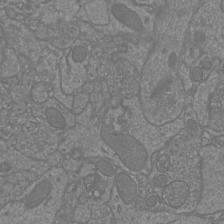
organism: Mouse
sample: Cortical neurons